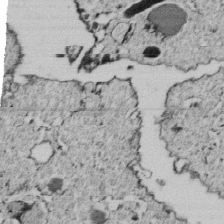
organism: C. elegans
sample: C. elegans embryo early stage